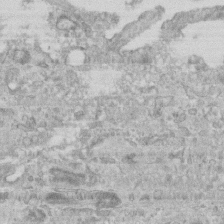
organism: Mouse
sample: Centriole in ependymal cells